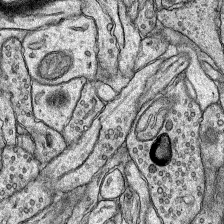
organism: Rat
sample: Hippocampus